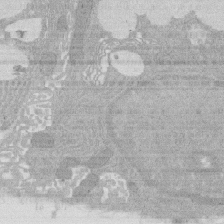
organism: Rat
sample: Salivary granule